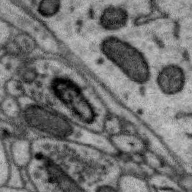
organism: Zebra finch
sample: Brain